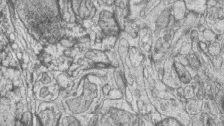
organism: Zebrafish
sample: synaptic ribbons in rod cells and cone cells